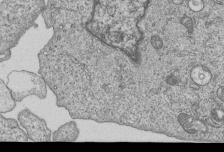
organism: Human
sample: MDA-MB-231 cells